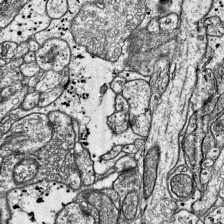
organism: Mouse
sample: Visual Cortex